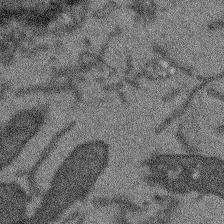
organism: Arabidopsis thaliana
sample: Root tip